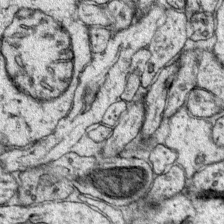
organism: Mouse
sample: Primary visual cortex